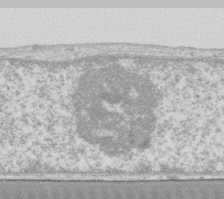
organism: Human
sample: Fibroblast cells